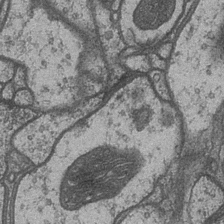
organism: Drosophila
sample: Optic medulla